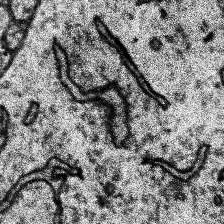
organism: Human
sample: Temporal Lobe